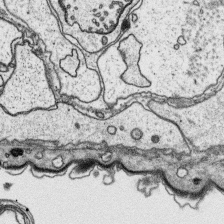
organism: Platynereis dumerilii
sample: Parapodia